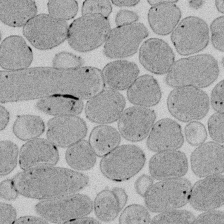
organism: E. coli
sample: Bacterial nucleoid